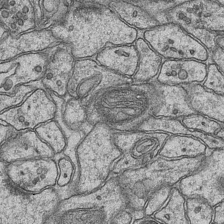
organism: Mouse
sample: CA1 Hippocampus